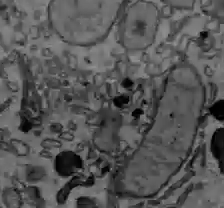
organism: C57BL Mouse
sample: Liver